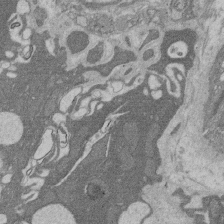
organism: Rat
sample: Salivary granule